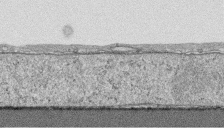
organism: Human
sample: CRL-1474